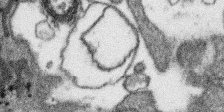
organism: Human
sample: Lung epithelial cells infected with SARS-CoV-2